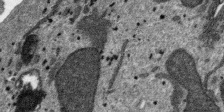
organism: Human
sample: Lung epithelial cells, uninfected (mock) control